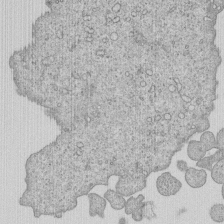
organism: Human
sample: MDA-MB-231 cells